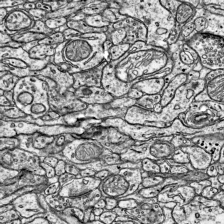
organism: Mouse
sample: Visual Cortex